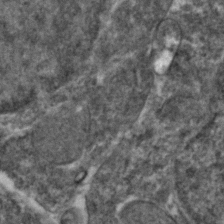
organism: Zebrafish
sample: Zebrafish embryo